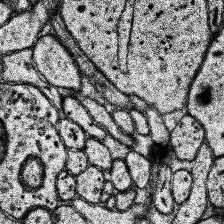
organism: Human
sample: Temporal Lobe